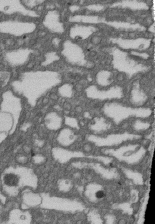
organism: Drosophila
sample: Nephrocyte